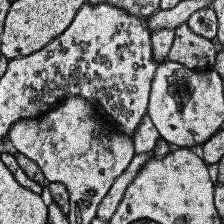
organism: Human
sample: Temporal Lobe